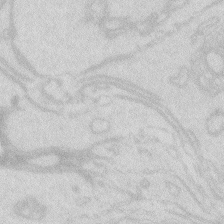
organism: Zebrafish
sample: Macrophage